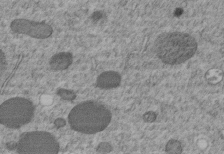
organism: C. elegans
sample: C. elegans embryo early stage